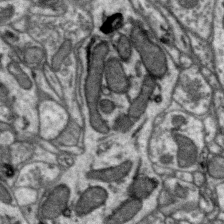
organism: Zebra finch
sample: Brain